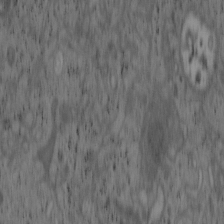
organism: Human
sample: HeLa cells